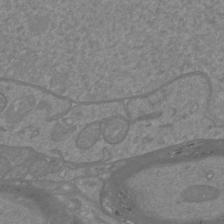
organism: Mouse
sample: Cortical neurons